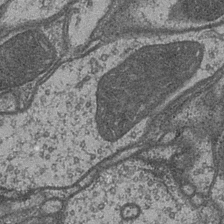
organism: Drosophila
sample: Optic medulla